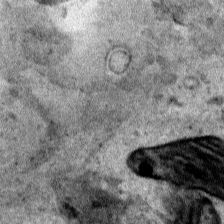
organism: Human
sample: Mitochondria in HCT116 cells